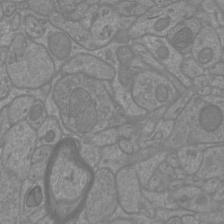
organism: Mouse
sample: Cortical neurons